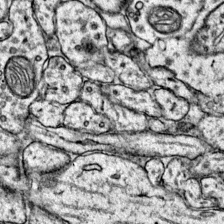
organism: Mouse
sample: Primary visual cortex